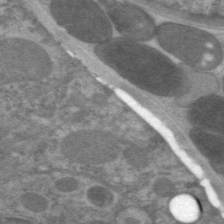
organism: C. elegans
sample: Pharynx